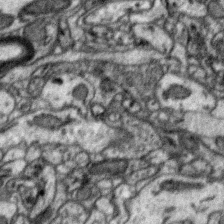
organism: Zebra finch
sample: Brain